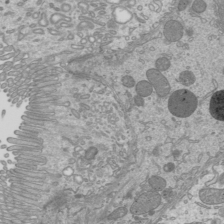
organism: Mouse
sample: Cilia; mouse epididymis